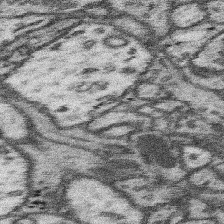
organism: Mouse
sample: Somatosensory cortex neuropil